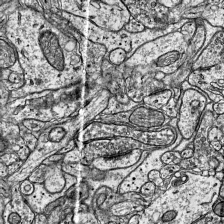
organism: Mouse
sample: Visual Cortex